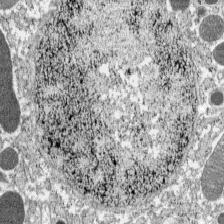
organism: C57BL Mouse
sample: Pancreatic islet